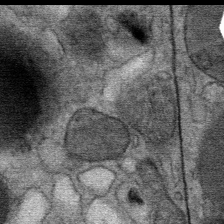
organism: Mouse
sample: Mouse Salivary gland